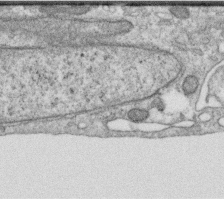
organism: Human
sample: Centriole in RPE cells